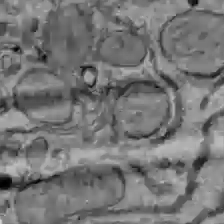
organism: C57BL Mouse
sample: Liver